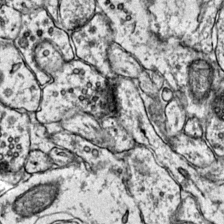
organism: Mouse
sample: Primary visual cortex